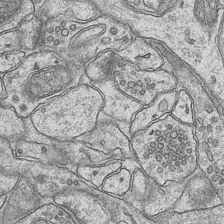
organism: Mouse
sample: CA1 Hippocampus